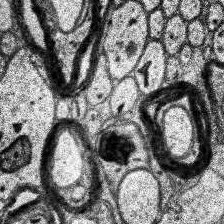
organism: Human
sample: Temporal Lobe